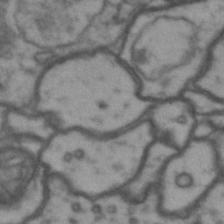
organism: Drosophila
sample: Brain